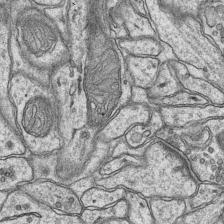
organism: Mouse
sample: CA1 Hippocampus